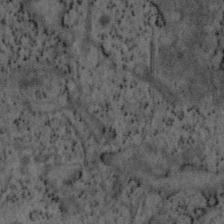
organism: Human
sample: HeLa cells